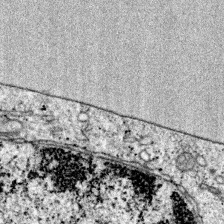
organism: Human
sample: HeLa cells